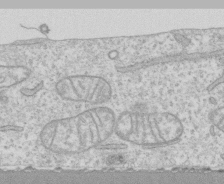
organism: Human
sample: CRL-1474